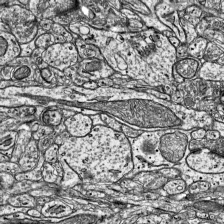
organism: Mouse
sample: Visual Cortex